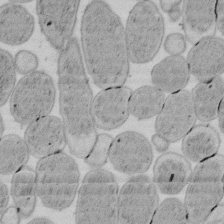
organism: E. coli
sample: Bacterial nucleoid